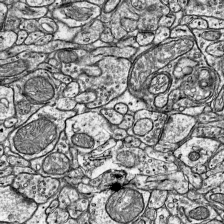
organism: Mouse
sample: Visual Cortex